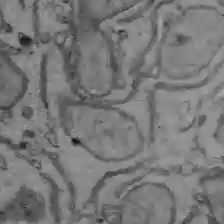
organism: C57BL Mouse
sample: Liver